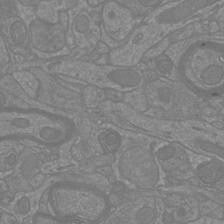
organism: Mouse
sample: Cortical neurons